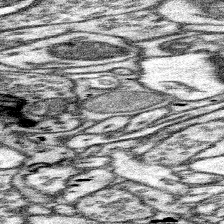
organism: Mouse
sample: Somatosensory cortex neuropil